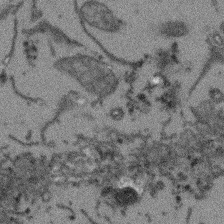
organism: Arabidopsis thaliana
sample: Root tip